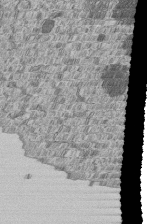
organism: Human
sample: MDA-MB-231 cells